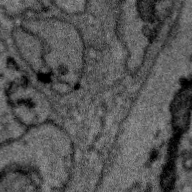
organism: Zebra finch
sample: Brain